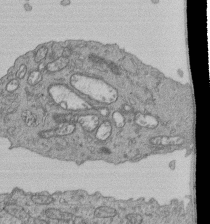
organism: Human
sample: Retinal organoid Rod and Cone cells